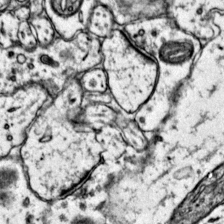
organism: Mouse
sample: Primary visual cortex